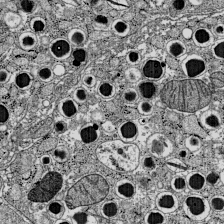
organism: C57BL Mouse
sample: Pancreatic islet